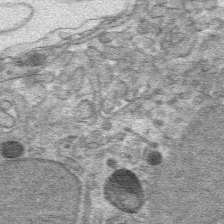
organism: Mouse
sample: Mouse hepatocytes